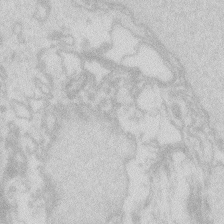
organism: Zebrafish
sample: Macrophage